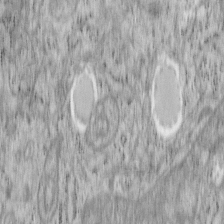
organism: Human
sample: HeLa cells